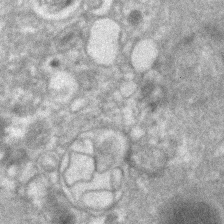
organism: Human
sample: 1205lu cells